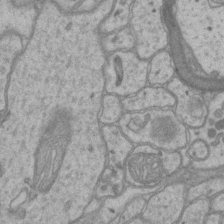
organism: Mouse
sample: CA1 Hippocampus